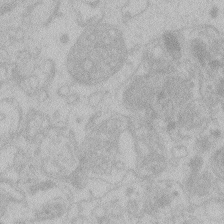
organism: Zebrafish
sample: Macrophage infected with Toxoplasma gondii